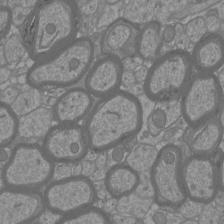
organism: Mouse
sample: Cortical neurons